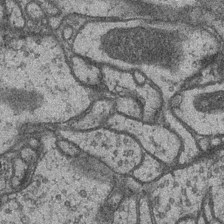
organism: Drosophila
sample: Optic medulla